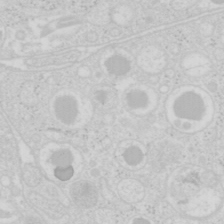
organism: Mouse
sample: Pancreas